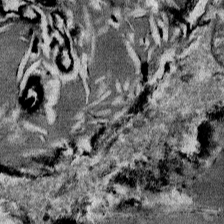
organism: Mouse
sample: Mouse Salivary gland